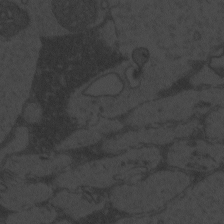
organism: Zebrafish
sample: Macrophage infected with Toxoplasma gondii